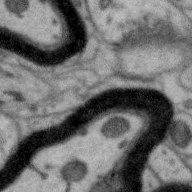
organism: Zebra finch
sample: Brain